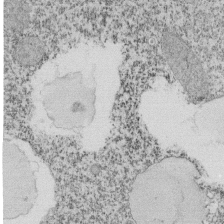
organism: Tetrahymena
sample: Cilia in tetrahymena